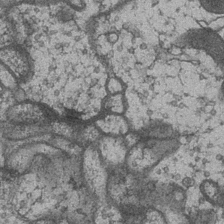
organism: Drosophila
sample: Optic medulla